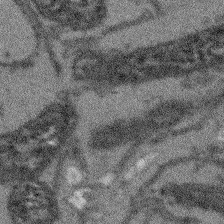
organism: Arabidopsis thaliana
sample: Root tip